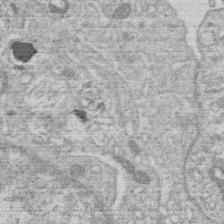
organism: Human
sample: Macrophage cells